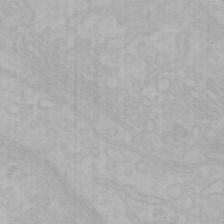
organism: Mouse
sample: Choroid plexus